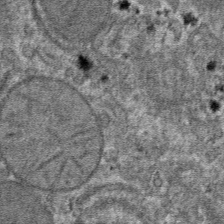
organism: Mouse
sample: Mouse hepatocytes